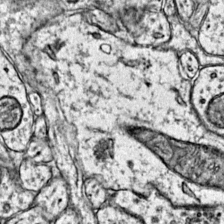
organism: Mouse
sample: Primary visual cortex